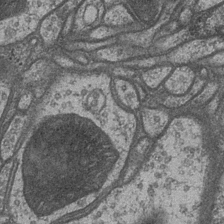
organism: Drosophila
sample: Optic medulla